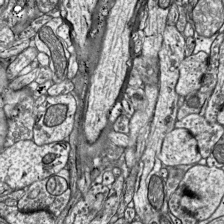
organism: Mouse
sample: Visual Cortex